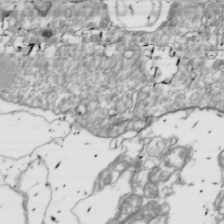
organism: Drosophila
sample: Cell division; meiosis; drosophila spermatocytes